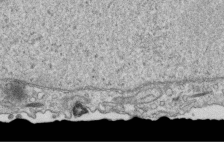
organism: Human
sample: HeLa cell HIV synapse